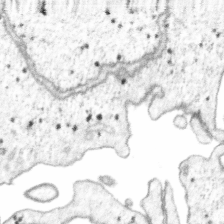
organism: Human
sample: HeLa cells